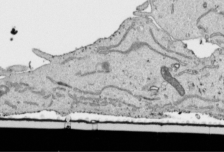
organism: Human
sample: Mitochondria in HCT116 cells